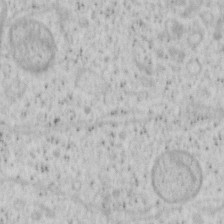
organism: Human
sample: HeLa cells